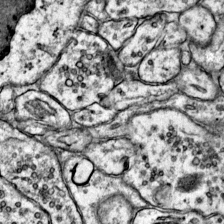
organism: Mouse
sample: Primary visual cortex